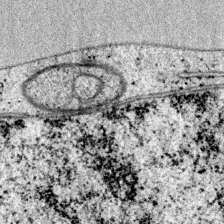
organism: Human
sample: HeLa cells